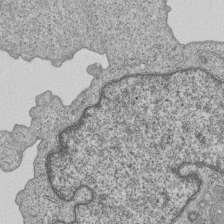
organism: Human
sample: MDA-MB-231 cells